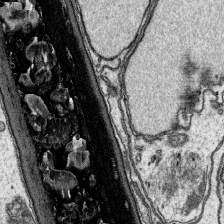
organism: Platynereis dumerilii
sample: Parapodia